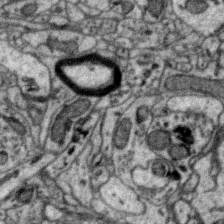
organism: Zebra finch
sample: Brain